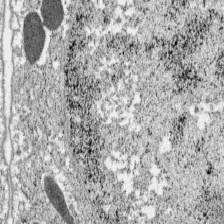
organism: C57BL Mouse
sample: Pancreatic islet